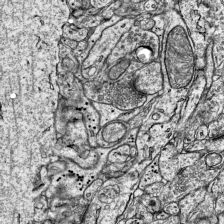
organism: Mouse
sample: Visual Cortex